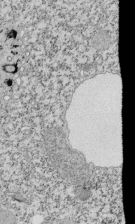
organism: Tetrahymena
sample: Cilia in tetrahymena